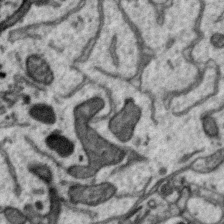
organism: Zebra finch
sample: Brain